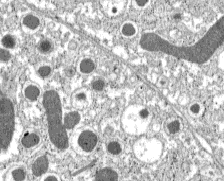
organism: C57BL Mouse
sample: Pancreatic islet